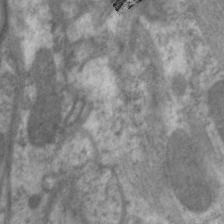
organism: C. elegans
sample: Pharynx